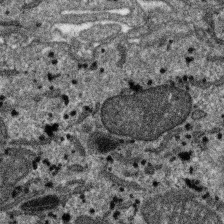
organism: Human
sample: Lung epithelial cells infected with SARS-CoV-2